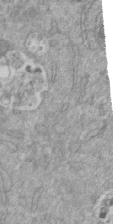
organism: Mouse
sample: ED-1 cell nuclei; centrioles